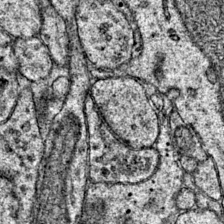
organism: Mouse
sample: Primary visual cortex